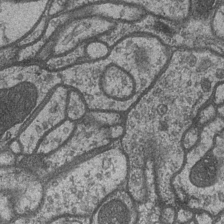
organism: Drosophila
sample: Optic medulla